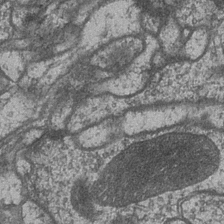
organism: Drosophila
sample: Optic medulla